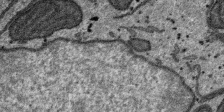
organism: Human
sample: Lung epithelial cells, uninfected (mock) control